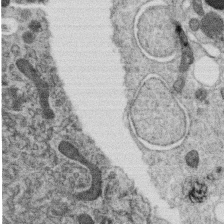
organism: C. elegans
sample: C. elegans oocyte; sperm cells